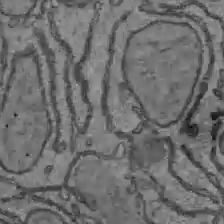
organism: C57BL Mouse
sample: Liver